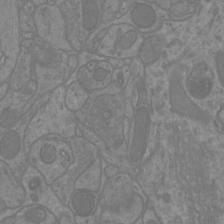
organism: Mouse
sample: Cortical neurons